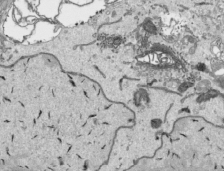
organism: Human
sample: Mitochondria in HCT116 cells